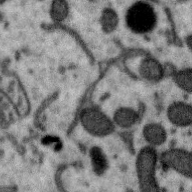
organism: Zebra finch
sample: Brain